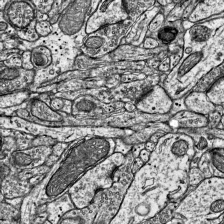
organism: Mouse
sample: Visual Cortex